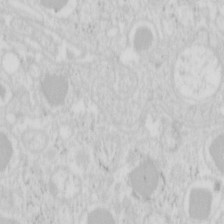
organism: Mouse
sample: Pancreas